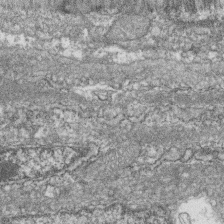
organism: Zebrafish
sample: Cilia; retinal pigment epithelium